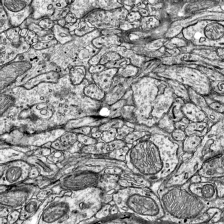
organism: Mouse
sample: Visual Cortex